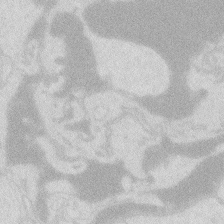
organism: Zebrafish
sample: Macrophage